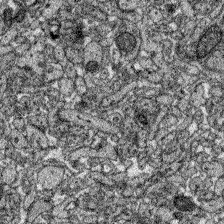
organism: Zebrafish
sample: Larval olfactory bulb